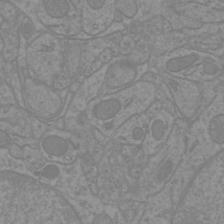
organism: Mouse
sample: Cortical neurons